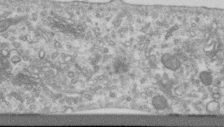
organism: Human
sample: Centriole in RPE cells